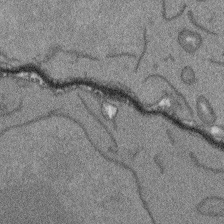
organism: Arabidopsis thaliana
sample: Root tip